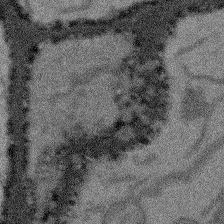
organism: Arabidopsis thaliana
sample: Root tip